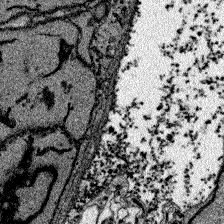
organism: Zebrafish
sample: Larval olfactory bulb